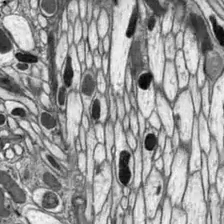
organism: Drosophila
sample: Optic lobe